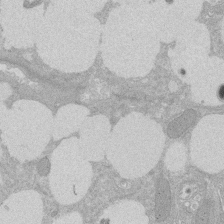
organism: Rat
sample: Salivary granule